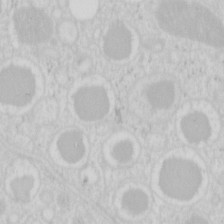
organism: Mouse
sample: Pancreas